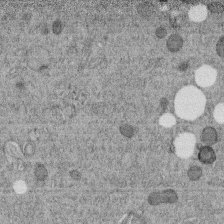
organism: C. elegans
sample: C. elegans embryo early stage